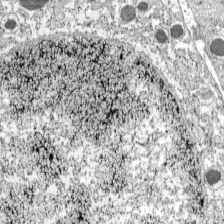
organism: C57BL Mouse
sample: Pancreatic islet